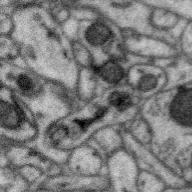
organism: Zebra finch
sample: Brain